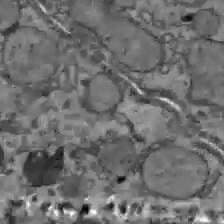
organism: C57BL Mouse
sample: Liver